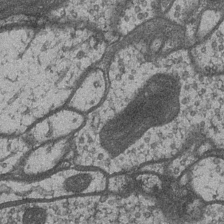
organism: Drosophila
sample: Optic medulla